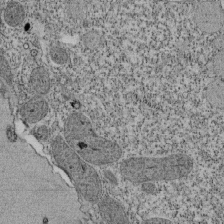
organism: Tetrahymena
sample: Cilia in tetrahymena